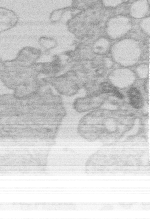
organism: Human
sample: Macrophage cells